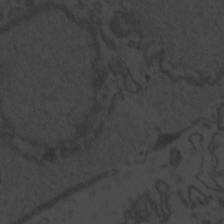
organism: Zebrafish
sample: Macrophage infected with Toxoplasma gondii